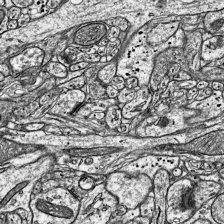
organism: Mouse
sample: Visual Cortex